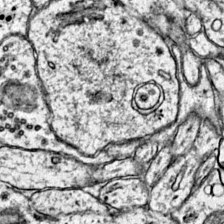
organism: Mouse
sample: Primary visual cortex